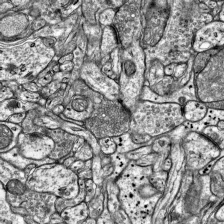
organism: Mouse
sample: Visual Cortex